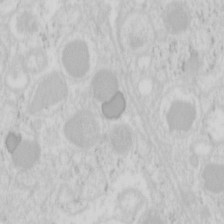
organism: Mouse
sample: Pancreas